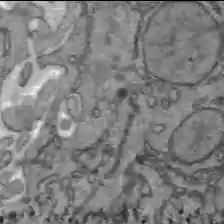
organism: C57BL Mouse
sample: Liver